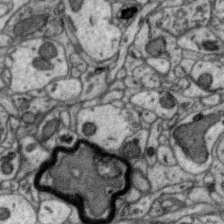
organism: Zebra finch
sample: Brain